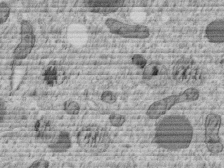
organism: C. elegans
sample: C. elegans embryo early stage